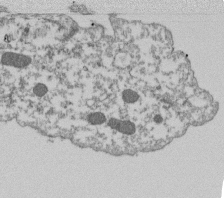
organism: Dictyostelium discoideum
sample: Dictyostelium multivesicular bodies